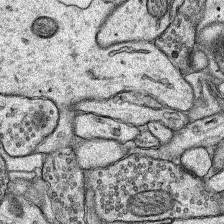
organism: Rat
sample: Hippocampus